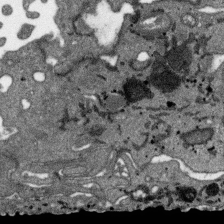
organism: Human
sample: Lung epithelial cells, uninfected (mock) control